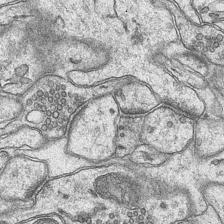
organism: Mouse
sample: CA1 Hippocampus